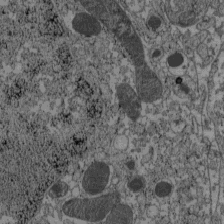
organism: C57BL Mouse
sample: Pancreatic islet